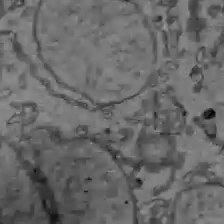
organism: C57BL Mouse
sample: Liver